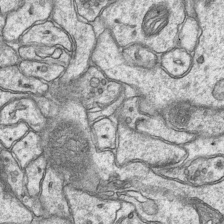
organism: Mouse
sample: CA1 Hippocampus